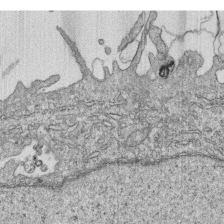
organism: Human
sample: HeLa cell HIV synapse